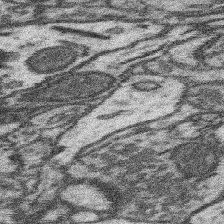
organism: Mouse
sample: Somatosensory cortex neuropil